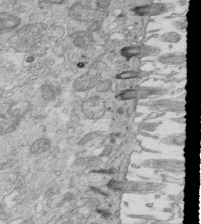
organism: Mouse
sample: Multiciliated cells